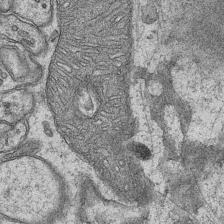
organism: Mouse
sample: CA1 Hippocampus